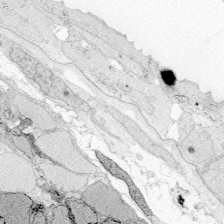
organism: Zebrafish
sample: Whole-Brain